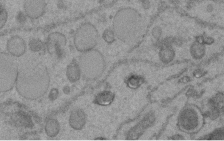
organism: C. elegans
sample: C. elegans embryo early stage